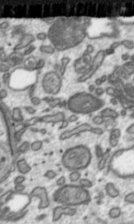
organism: Toxoplasma gondii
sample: Parasites in a vacuole inside a host cell